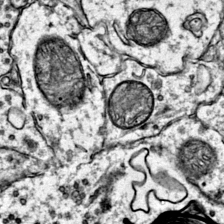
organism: Mouse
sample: Primary visual cortex